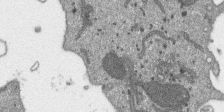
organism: Human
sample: Lung epithelial cells infected with SARS-CoV-2